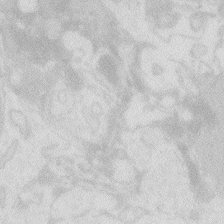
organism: Zebrafish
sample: Macrophage